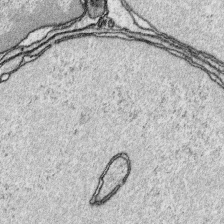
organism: Platynereis dumerilii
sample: Parapodia